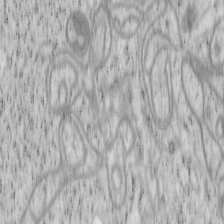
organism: Human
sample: HeLa cells